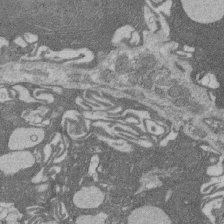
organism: Rat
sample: Salivary granule